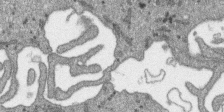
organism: Human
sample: Lung epithelial cells infected with SARS-CoV-2